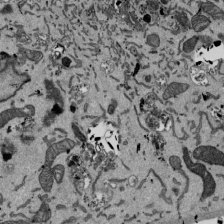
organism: Mouse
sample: ED-1 cell nuclei; centrioles